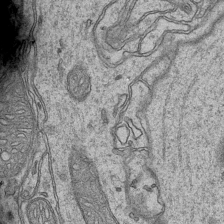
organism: Mouse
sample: CA1 Hippocampus